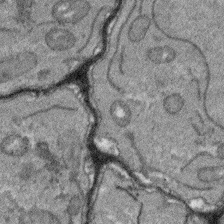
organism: Arabidopsis thaliana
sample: Root tip